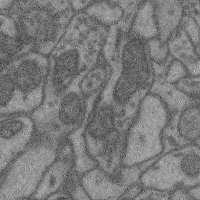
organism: Mouse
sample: Cerebral cortex